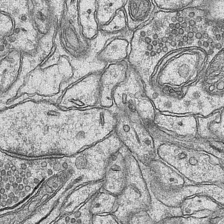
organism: Mouse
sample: CA1 Hippocampus